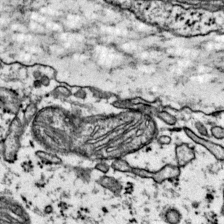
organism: Mouse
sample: Primary visual cortex